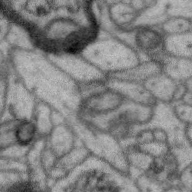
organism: Zebra finch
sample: Brain